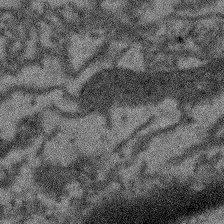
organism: Arabidopsis thaliana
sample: Root tip